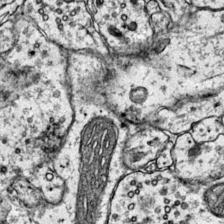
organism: Mouse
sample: Primary visual cortex